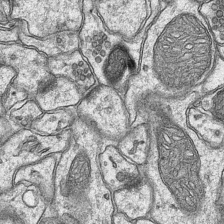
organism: Mouse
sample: CA1 Hippocampus